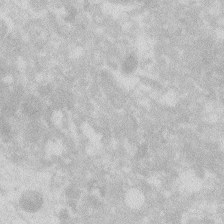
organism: Zebrafish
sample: Macrophage